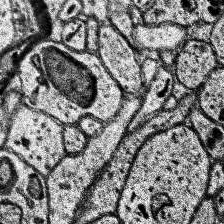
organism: Human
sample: Temporal Lobe